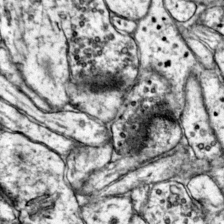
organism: Mouse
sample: Primary visual cortex